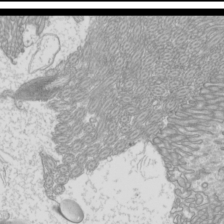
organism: Mouse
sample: Cilia; mouse epididymis